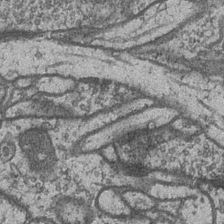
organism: Drosophila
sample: Optic medulla